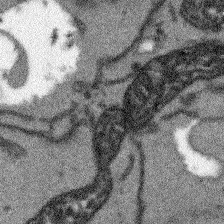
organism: Arabidopsis thaliana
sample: Root tip